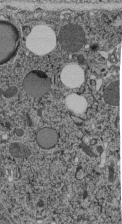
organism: C. elegans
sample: C. elegans pharynx